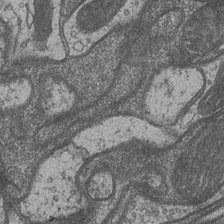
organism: Drosophila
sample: Optic medulla